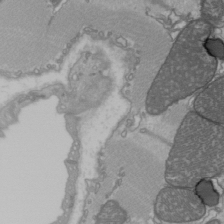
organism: C57BL Mouse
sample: Heart